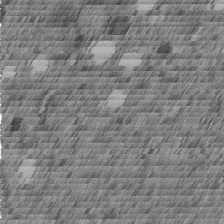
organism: C. elegans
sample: C. elegans embryo early stage